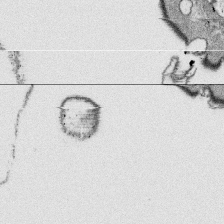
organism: Platynereis dumerilii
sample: Parapodia